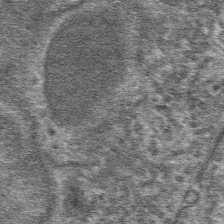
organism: Mouse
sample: Mouse hepatocytes